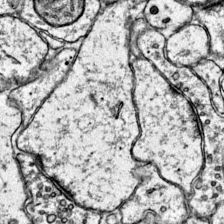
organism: Mouse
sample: Primary visual cortex